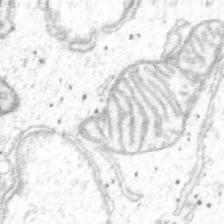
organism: Human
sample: HeLa cells